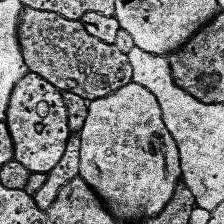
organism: Human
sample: Temporal Lobe